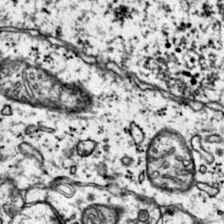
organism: Mouse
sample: Primary visual cortex